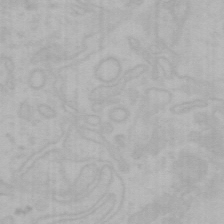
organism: Mouse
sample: Choroid plexus